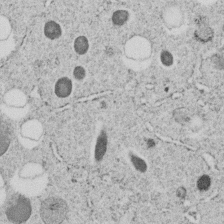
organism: C. elegans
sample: C. elegans embryo early stage